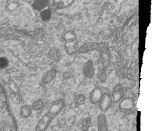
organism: Human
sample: MDA-MB-231 cells